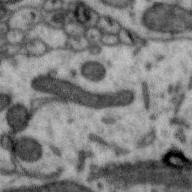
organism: Zebra finch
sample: Brain